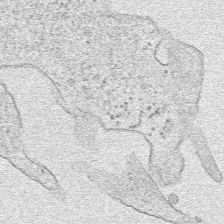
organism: Human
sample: Mitochondria in HCT116 cells